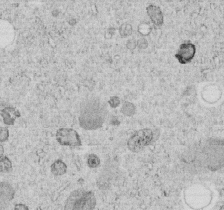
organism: C. elegans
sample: C. elegans embryo early stage